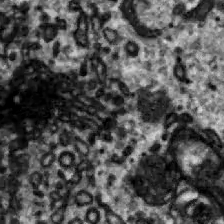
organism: Human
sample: HeLa cells